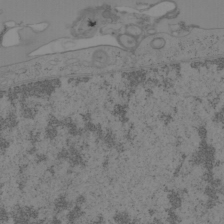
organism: Human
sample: HeLa cells